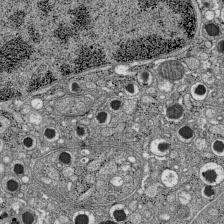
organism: C57BL Mouse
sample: Pancreatic islet